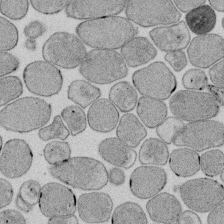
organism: E. coli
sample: Bacterial nucleoid